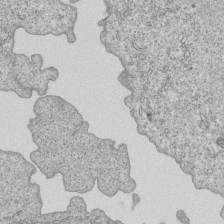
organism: Human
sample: MDA-MB-231 cells